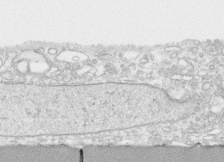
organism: Human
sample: CRL-1474